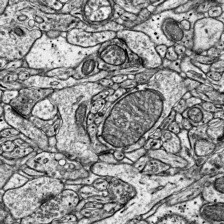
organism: Mouse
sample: Visual Cortex